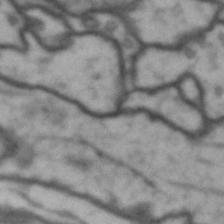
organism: Drosophila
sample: Brain